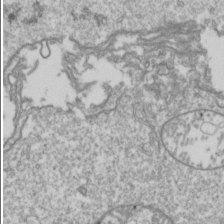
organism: Drosophila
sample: Cell division; meiosis; drosophila spermatocytes